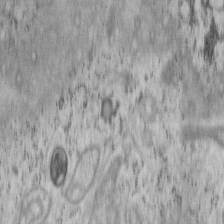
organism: Human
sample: HeLa cells